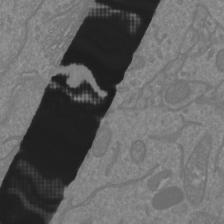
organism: Mouse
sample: Cortical neurons